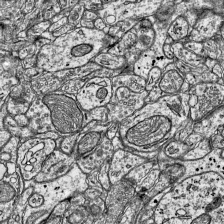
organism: Mouse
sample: Visual Cortex